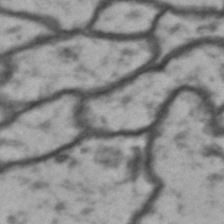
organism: Drosophila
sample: Brain